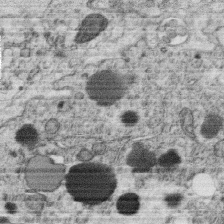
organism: C. elegans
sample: C. elegans oocyte; sperm cells